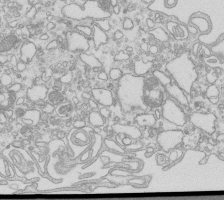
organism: Mouse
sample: Macrophages